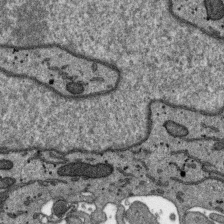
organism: Human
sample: Lung epithelial cells, uninfected (mock) control